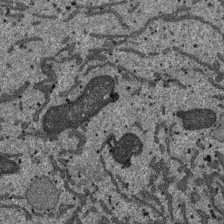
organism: Human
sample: Lung epithelial cells infected with SARS-CoV-2